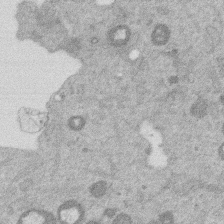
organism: Mouse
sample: Dividing mouse embryo 1 cell stage